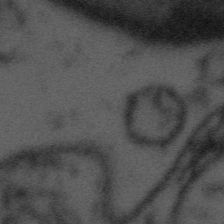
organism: Tuwongella immobilis